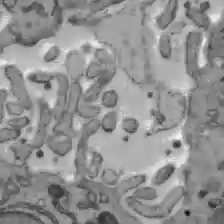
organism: C57BL Mouse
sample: Liver